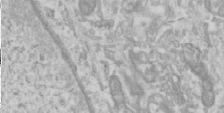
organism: Human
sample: Cilia; basal body in RPE cells